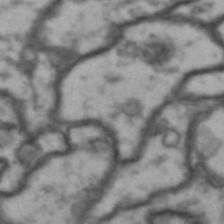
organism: Drosophila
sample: Brain